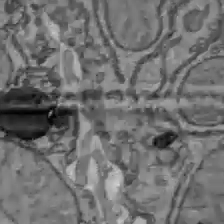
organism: C57BL Mouse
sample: Liver